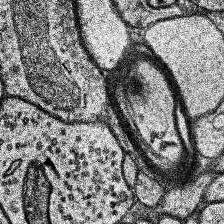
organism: Human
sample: Temporal Lobe